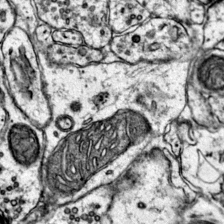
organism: Mouse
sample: Primary visual cortex